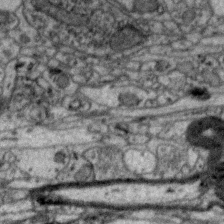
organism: Zebra finch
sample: Brain